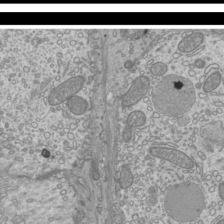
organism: Mouse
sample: Cilia; mouse epididymis